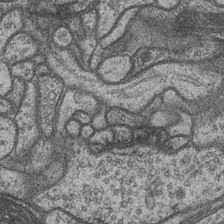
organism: Drosophila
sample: Optic medulla